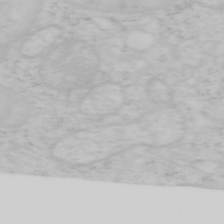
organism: Mouse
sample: OT-I killer T cells with ID8 ovarian cancer cells